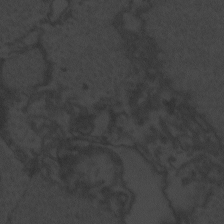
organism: Zebrafish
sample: Macrophage infected with Toxoplasma gondii